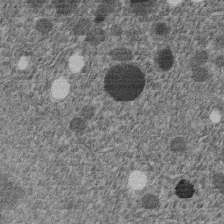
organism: C. elegans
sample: C. elegans embryo early stage